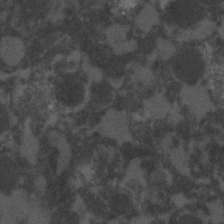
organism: C. elegans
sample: C. elegans embryo